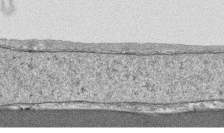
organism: Human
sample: CRL-1474